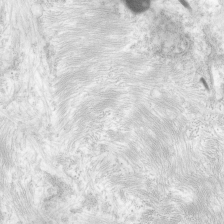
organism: Human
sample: Neocortex